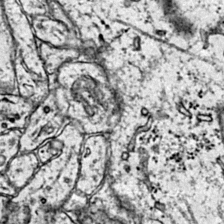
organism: Mouse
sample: Primary visual cortex